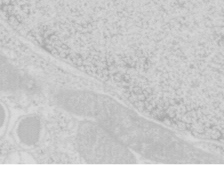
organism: Mouse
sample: Pancreas